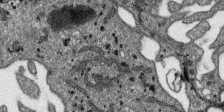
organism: Human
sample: Lung epithelial cells infected with SARS-CoV-2